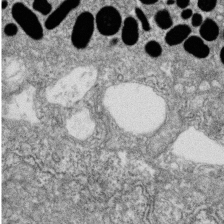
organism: Zebrafish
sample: Cilia; retinal pigment epithelium